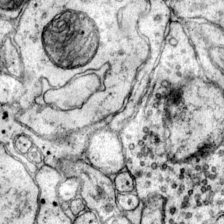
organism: Mouse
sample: Primary visual cortex